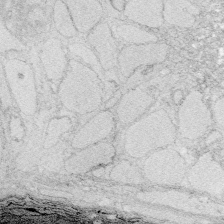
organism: Zebrafish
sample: Whole-Brain